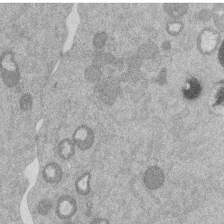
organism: Mouse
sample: Dividing mouse embryo 1 cell stage